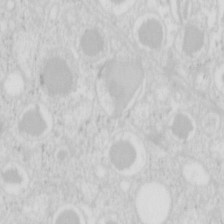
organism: Mouse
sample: Pancreas